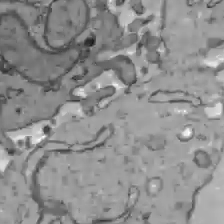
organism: C57BL Mouse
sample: Liver